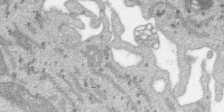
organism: Human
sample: Lung epithelial cells infected with SARS-CoV-2